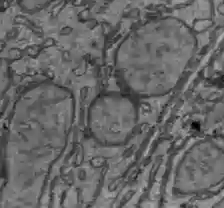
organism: C57BL Mouse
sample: Liver